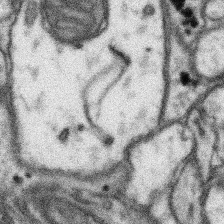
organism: Mouse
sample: Somatosensory cortex neuropil